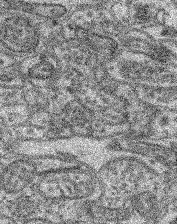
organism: Mouse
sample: Retina